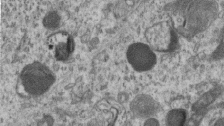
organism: Mouse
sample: Centriole in ependymal cells